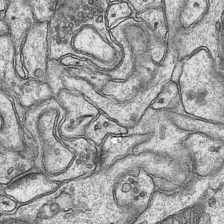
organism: Mouse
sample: CA1 Hippocampus